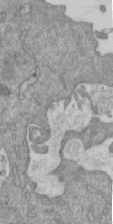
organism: Mouse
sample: ED-1 cell nuclei; centrioles